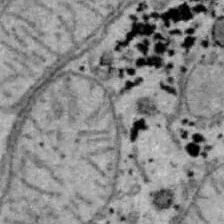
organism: Mouse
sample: Liver from an obese (ob/ob) mouse